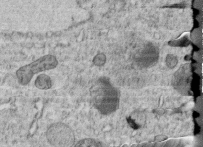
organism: C. elegans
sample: C. elegans embryo early stage